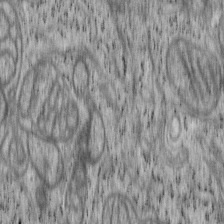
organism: Human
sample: HeLa cells